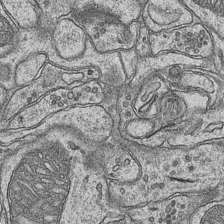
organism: Mouse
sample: CA1 Hippocampus